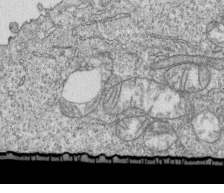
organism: Human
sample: HeLa cell HIV synapse